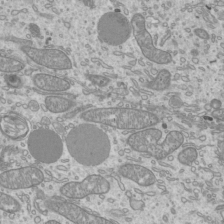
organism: Mouse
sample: Cilia; mouse epididymis